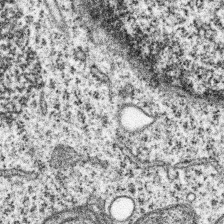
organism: Human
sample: HeLa cells